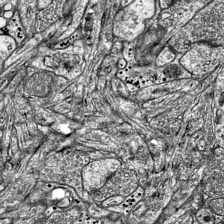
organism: Mouse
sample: Visual Cortex